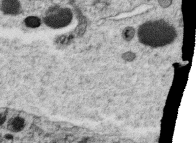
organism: C. elegans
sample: C. elegans oocyte; sperm cells